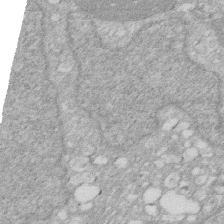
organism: Human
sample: HIV infected U937 cells